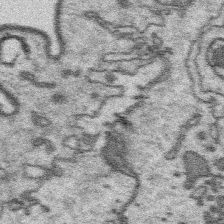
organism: Platynereis dumerilii